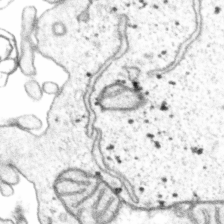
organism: Human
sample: HeLa cells